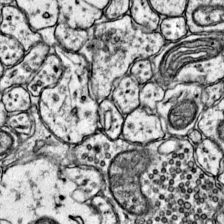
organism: Mouse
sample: Primary visual cortex